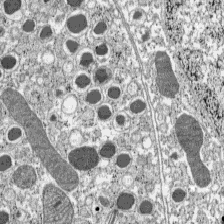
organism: C57BL Mouse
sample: Pancreatic islet